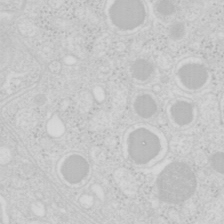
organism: Mouse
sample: Pancreas